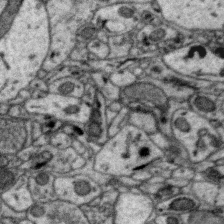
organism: Zebra finch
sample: Brain